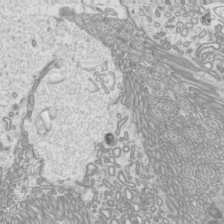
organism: Mouse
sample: Cilia; mouse epididymis